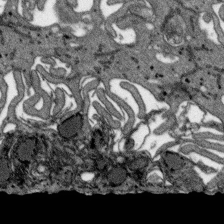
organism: Human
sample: Lung epithelial cells, uninfected (mock) control